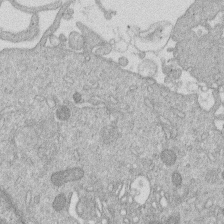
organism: Human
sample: Macrophage cells